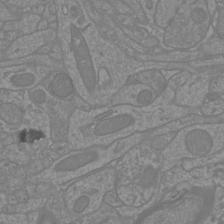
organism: Mouse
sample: Cortical neurons